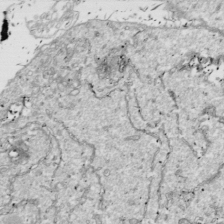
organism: Drosophila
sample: Cell division; meiosis; drosophila spermatocytes